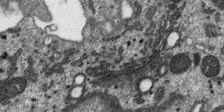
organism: Human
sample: Lung epithelial cells infected with SARS-CoV-2